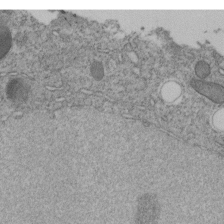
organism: C. elegans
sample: C. elegans embryo early stage